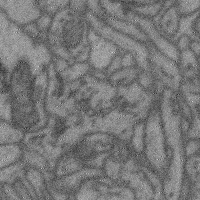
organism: Mouse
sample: Cerebral cortex